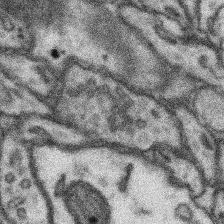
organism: Mouse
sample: Somatosensory cortex neuropil